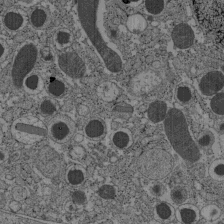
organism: C57BL Mouse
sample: Pancreatic islet